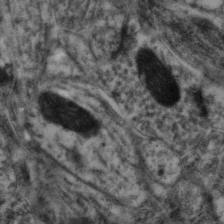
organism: Mouse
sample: Neocortex